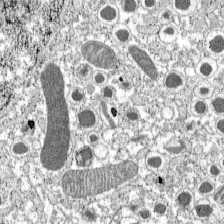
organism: C57BL Mouse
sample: Pancreatic islet